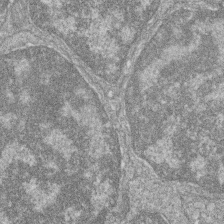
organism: Zebrafish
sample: Cilia; retinal pigment epithelium